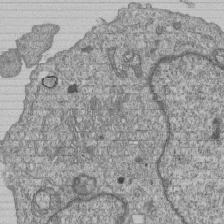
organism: Human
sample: MDA-MB-231 cells